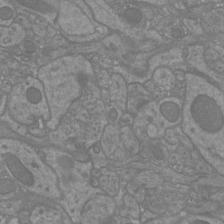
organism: Mouse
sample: Cortical neurons